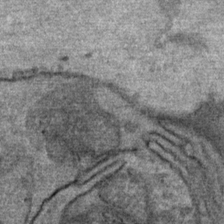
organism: Mouse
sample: Mouse Salivary gland